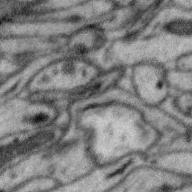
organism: Zebra finch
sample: Brain